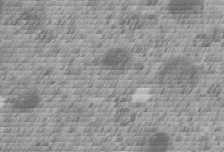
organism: C. elegans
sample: C. elegans embryo early stage